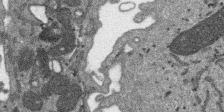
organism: Human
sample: Lung epithelial cells infected with SARS-CoV-2